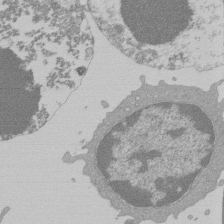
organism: Mouse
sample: Activated Pmel transgenic CD8+ T Cells